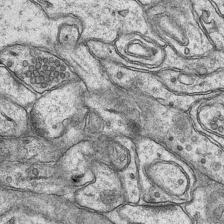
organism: Mouse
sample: CA1 Hippocampus